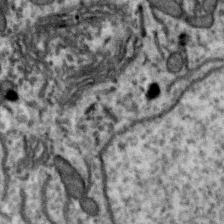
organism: Zebra finch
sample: Brain